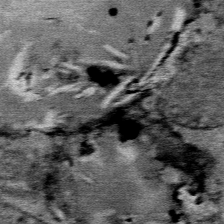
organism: Mouse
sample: Mouse Salivary gland